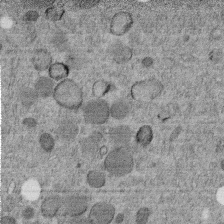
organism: C. elegans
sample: C. elegans embryo early stage